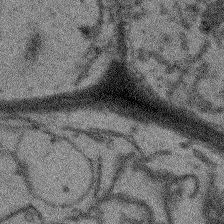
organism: Arabidopsis thaliana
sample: Root tip